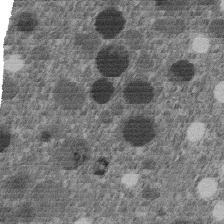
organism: C. elegans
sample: C. elegans embryo early stage